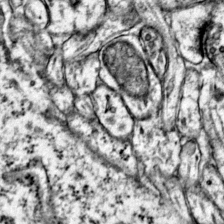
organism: Mouse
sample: Primary visual cortex